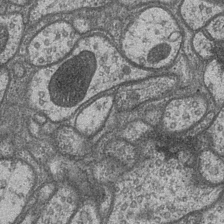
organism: Drosophila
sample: Optic medulla